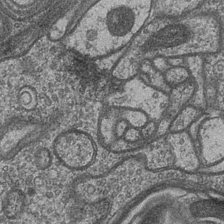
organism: Drosophila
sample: Optic medulla